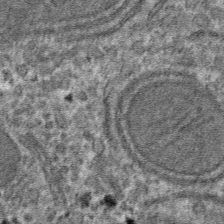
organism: Mouse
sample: Mouse hepatocytes